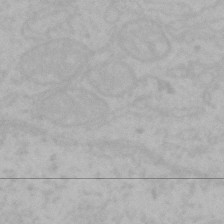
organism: Mouse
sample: Choroid plexus